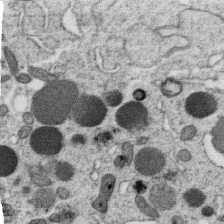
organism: C. elegans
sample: C. elegans oocyte; sperm cells